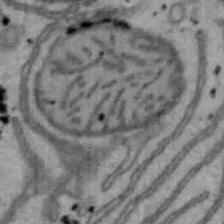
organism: Mouse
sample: Liver